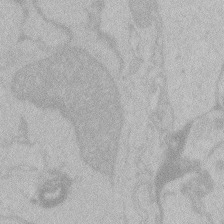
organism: Zebrafish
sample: Macrophage infected with Toxoplasma gondii